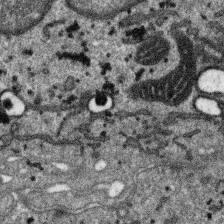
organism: Human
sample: Lung epithelial cells infected with SARS-CoV-2